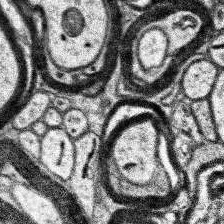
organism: Human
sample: Temporal Lobe